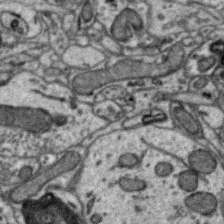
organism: Zebra finch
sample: Brain